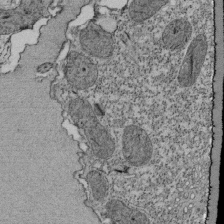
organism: Tetrahymena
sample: Cilia in tetrahymena